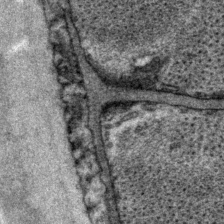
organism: P. pacificus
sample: Pharynx